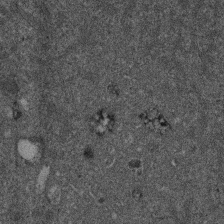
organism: Mouse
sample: Dividing mouse embryo 1 cell stage